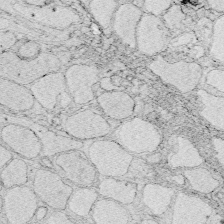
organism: Zebrafish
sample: Whole-Brain